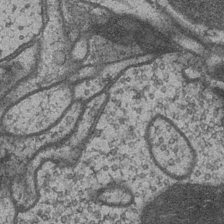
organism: Drosophila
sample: Optic medulla